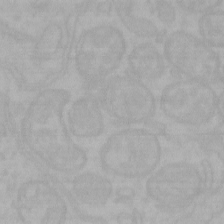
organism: Mouse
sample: Choroid plexus